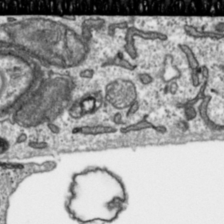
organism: Toxoplasma gondii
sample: Parasites in a vacuole inside a host cell